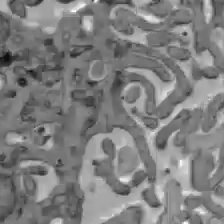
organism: C57BL Mouse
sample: Liver